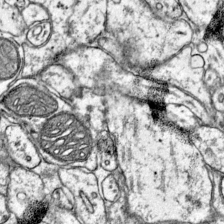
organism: Mouse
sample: Primary visual cortex